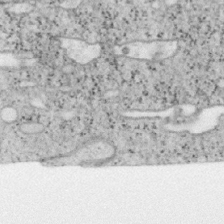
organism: Mouse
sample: OT-I killer T cells with ID8 ovarian cancer cells